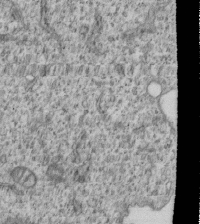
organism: Human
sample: MDA-MB-231 cells